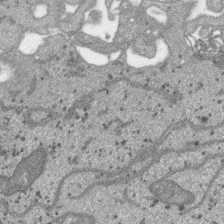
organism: Human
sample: Lung epithelial cells infected with SARS-CoV-2